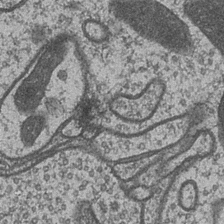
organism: Drosophila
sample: Optic medulla